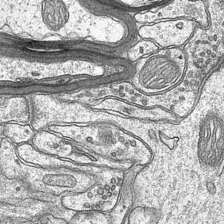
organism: Mouse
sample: CA1 Hippocampus